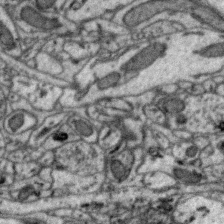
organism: Zebra finch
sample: Brain